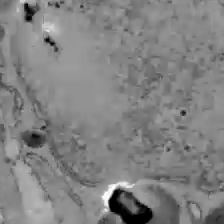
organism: C57BL Mouse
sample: Liver